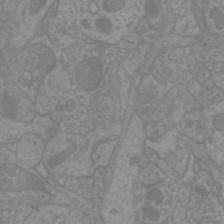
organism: Mouse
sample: Cortical neurons